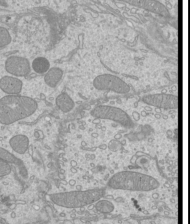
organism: Mouse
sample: Cilia; mouse epididymis